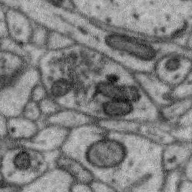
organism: Zebra finch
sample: Brain